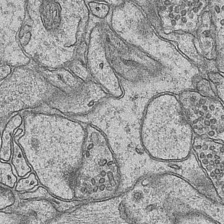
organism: Mouse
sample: CA1 Hippocampus